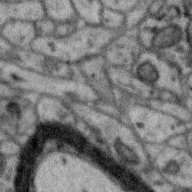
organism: Zebra finch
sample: Brain